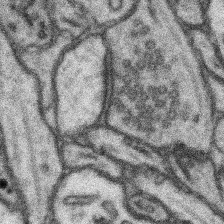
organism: Mouse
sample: Somatosensory cortex neuropil